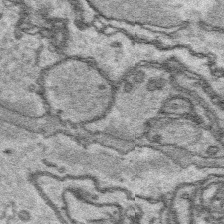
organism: Platynereis dumerilii